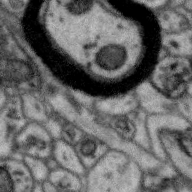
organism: Zebra finch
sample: Brain